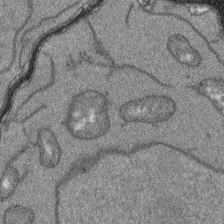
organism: Arabidopsis thaliana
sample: Root tip